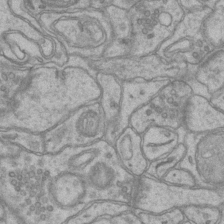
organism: Mouse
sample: CA1 Hippocampus